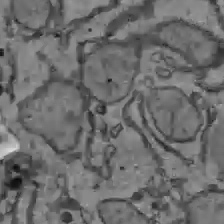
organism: C57BL Mouse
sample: Liver